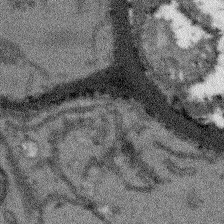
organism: Arabidopsis thaliana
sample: Root tip